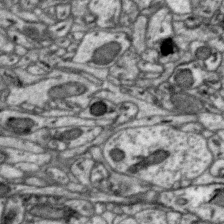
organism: Zebra finch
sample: Brain